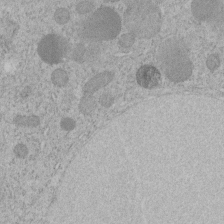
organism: C. elegans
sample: C. elegans embryo early stage